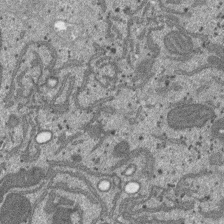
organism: Human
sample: Lung epithelial cells infected with SARS-CoV-2